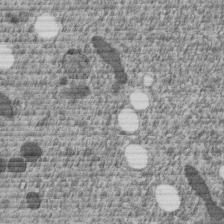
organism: C. elegans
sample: C. elegans embryo early stage